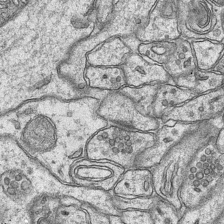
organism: Mouse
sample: CA1 Hippocampus